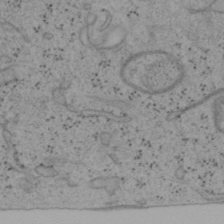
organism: Human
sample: HeLa cells